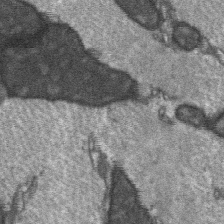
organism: C57BL Mouse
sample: Soleus